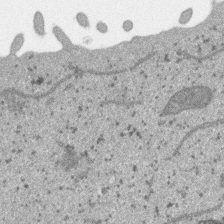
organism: Human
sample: Lung epithelial cells infected with SARS-CoV-2